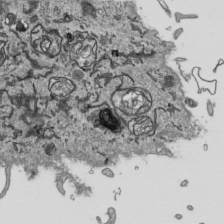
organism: Human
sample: Mitochondria in HCT116 cells